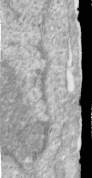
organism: Human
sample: Centriole in RPE cells